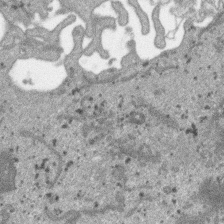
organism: Human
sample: Lung epithelial cells infected with SARS-CoV-2